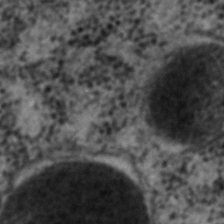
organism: C. elegans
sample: C. elegans embryo